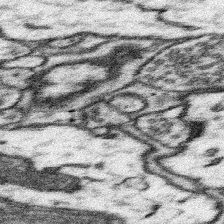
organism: Mouse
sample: Somatosensory cortex neuropil